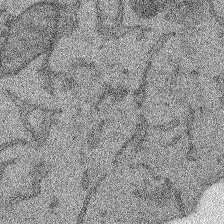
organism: Human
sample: HeLa cells